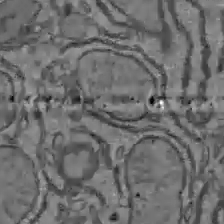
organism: C57BL Mouse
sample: Liver